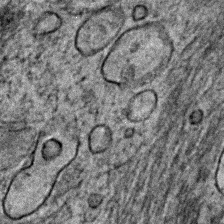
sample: Trachea